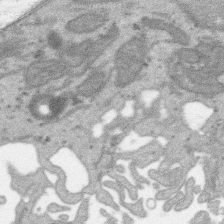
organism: Human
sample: Lung epithelial cells infected with SARS-CoV-2